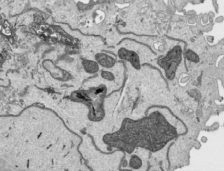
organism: Human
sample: Mitochondria in HCT116 cells